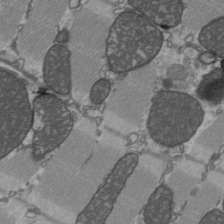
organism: C57BL Mouse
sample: Heart